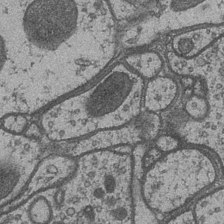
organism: Drosophila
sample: Optic medulla